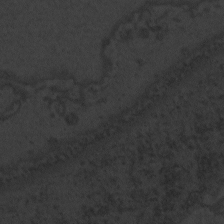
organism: Zebrafish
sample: Macrophage infected with Toxoplasma gondii